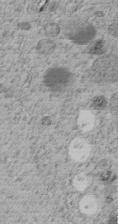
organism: C. elegans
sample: C. elegans embryo early stage